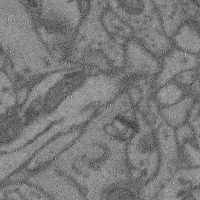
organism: Mouse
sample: Cerebral cortex